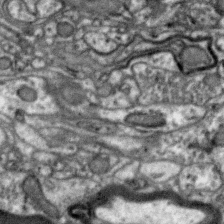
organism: Zebra finch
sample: Brain